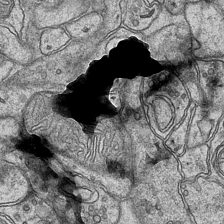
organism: Mouse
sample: CA1 Hippocampus